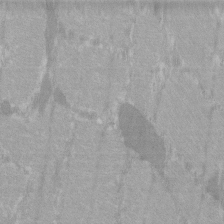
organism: C57BL Mouse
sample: Tibialis anterior muscle cell